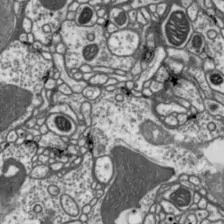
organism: Drosophila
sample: Protocerebral bridge